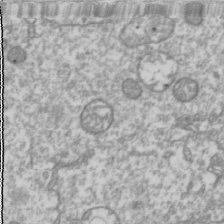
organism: Drosophila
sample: Cell division; meiosis; drosophila spermatocytes